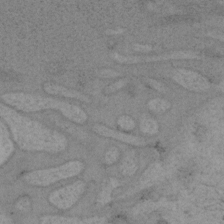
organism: Mouse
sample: OT-I killer T cells with ID8 ovarian cancer cells